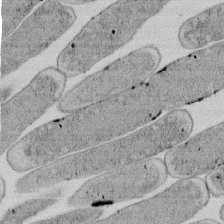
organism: E. coli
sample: Bacterial nucleoid